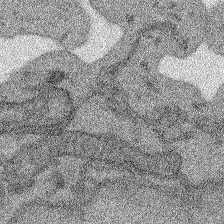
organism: Human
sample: HeLa cells